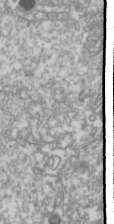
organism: Drosophila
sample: Cell division; meiosis; drosophila spermatocytes